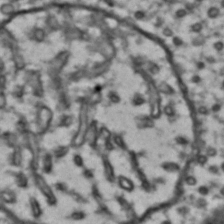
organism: Drosophila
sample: Brain